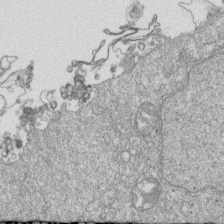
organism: Human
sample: HeLa cell HIV synapse